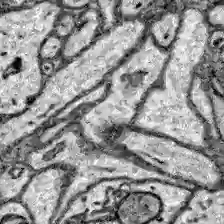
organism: Zebrafish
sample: Brain